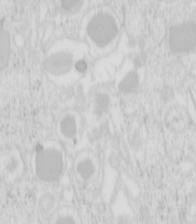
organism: Mouse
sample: Pancreas